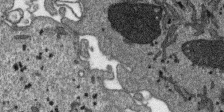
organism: Human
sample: Lung epithelial cells infected with SARS-CoV-2